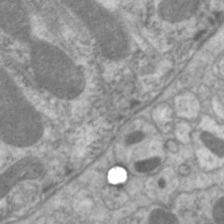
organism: C. elegans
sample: Pharynx